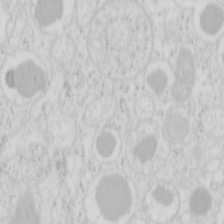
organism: Mouse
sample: Pancreas